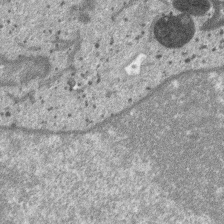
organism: Human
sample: Lung epithelial cells infected with SARS-CoV-2